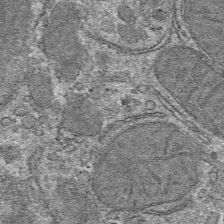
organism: Mouse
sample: Mouse hepatocytes